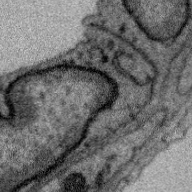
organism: Zebra finch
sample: Brain